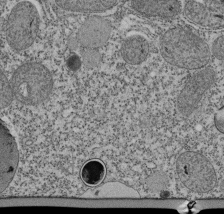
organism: Tetrahymena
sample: Cilia in tetrahymena